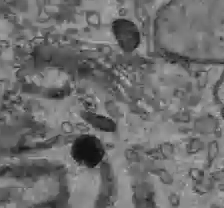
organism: C57BL Mouse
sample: Liver